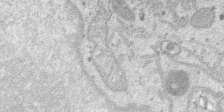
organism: Human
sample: Lung epithelial cells infected with SARS-CoV-2